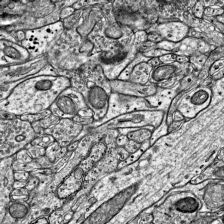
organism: Mouse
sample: Visual Cortex